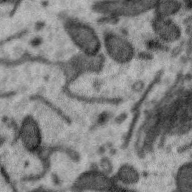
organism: Zebra finch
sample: Brain